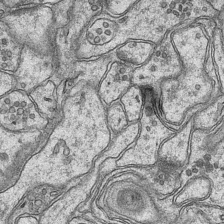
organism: Mouse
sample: CA1 Hippocampus